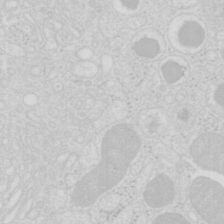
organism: Mouse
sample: Pancreas